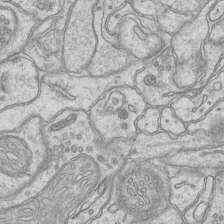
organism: Mouse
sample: CA1 Hippocampus